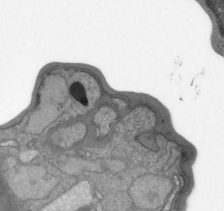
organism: Plasmodium falciparum